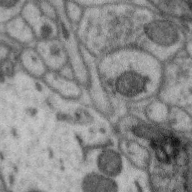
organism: Zebra finch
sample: Brain